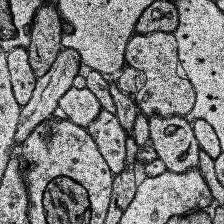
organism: Human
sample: Temporal Lobe